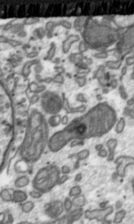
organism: Toxoplasma gondii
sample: Parasites in a vacuole inside a host cell